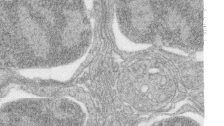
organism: Zebrafish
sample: synaptic ribbons in rod cells and cone cells